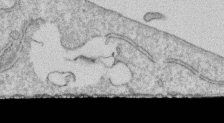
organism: Human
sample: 1205lu cells